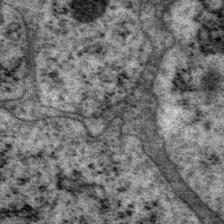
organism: P. pacificus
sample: Pharynx